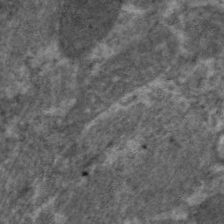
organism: C. elegans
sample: Pharynx